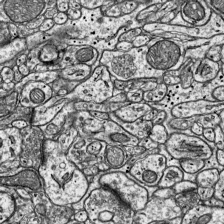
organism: Mouse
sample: Visual Cortex